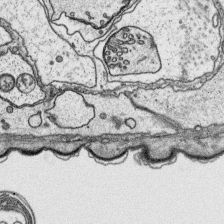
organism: Platynereis dumerilii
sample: Parapodia